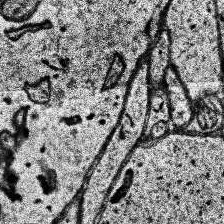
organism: Human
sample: Temporal Lobe